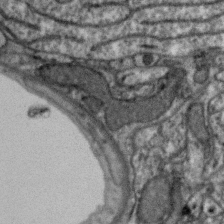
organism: Zebra finch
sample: Brain